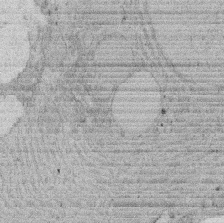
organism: Rat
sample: Salivary granule